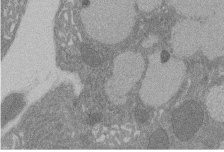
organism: Rat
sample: Salivary granule